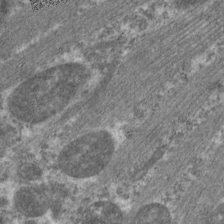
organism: C. elegans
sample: Pharynx